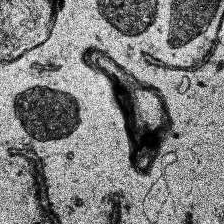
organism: Human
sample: Temporal Lobe